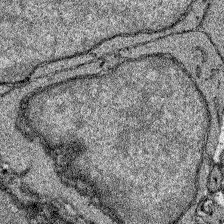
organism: Zebrafish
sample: Larval olfactory bulb